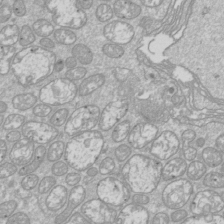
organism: Drosophila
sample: Cell division; meiosis; drosophila spermatocytes